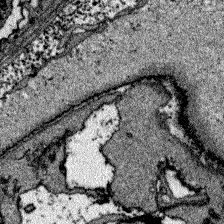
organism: Zebrafish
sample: Larval olfactory bulb